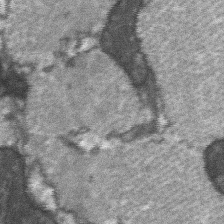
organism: C57BL Mouse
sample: Soleus